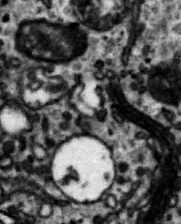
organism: Human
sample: HeLa cells